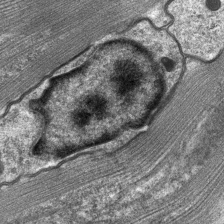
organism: C. elegans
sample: Pharynx